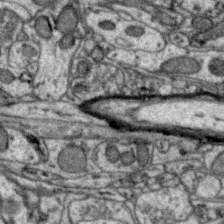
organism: Zebra finch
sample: Brain